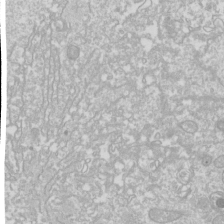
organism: Drosophila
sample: Cell division; meiosis; drosophila spermatocytes